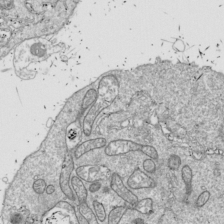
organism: Drosophila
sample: Cell division; meiosis; drosophila spermatocytes